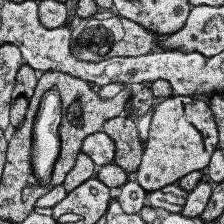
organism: Human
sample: Temporal Lobe